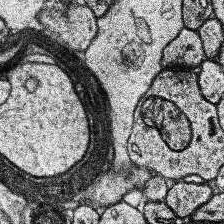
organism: Human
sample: Temporal Lobe